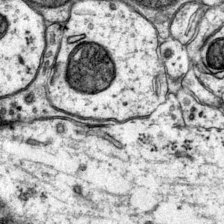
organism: Mouse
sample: Primary visual cortex